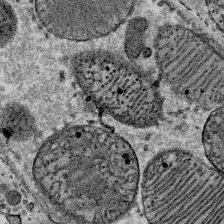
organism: Mouse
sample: Mouse Salivary gland